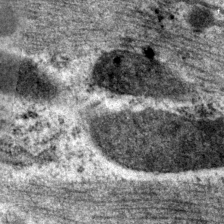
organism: P. pacificus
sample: Pharynx